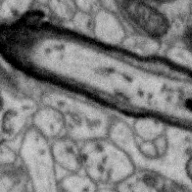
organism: Zebra finch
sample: Brain